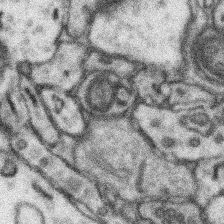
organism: Mouse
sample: Somatosensory cortex neuropil